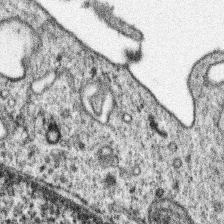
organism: Human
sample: HeLa cells